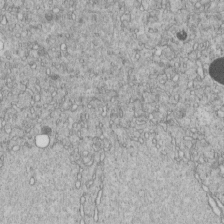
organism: C. elegans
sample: C. elegans embryo early stage